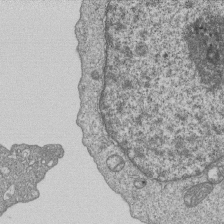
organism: Human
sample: MDA-MB-231 cells